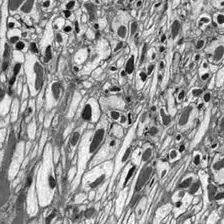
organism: Drosophila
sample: Optic lobe